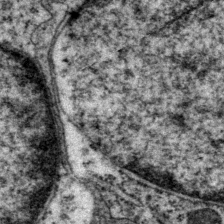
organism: P. pacificus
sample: Pharynx